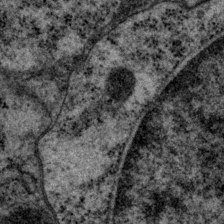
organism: P. pacificus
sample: Pharynx